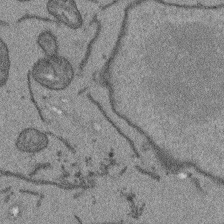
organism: Arabidopsis thaliana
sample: Root tip